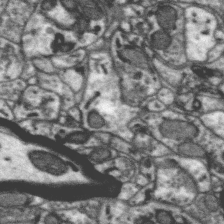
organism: Zebra finch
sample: Brain